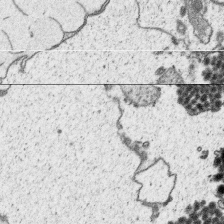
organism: Platynereis dumerilii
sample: Parapodia